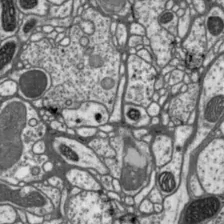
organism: Drosophila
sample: Protocerebral bridge